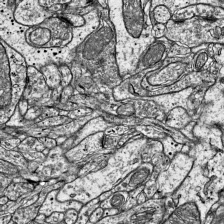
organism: Mouse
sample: Visual Cortex